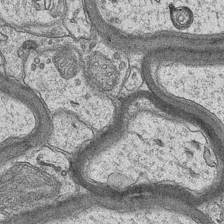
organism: Mouse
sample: CA1 Hippocampus